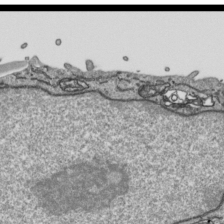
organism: Human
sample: Mitochondria in HCT116 cells